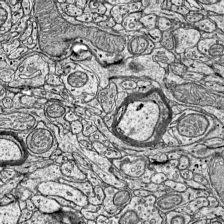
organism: Mouse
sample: Visual Cortex